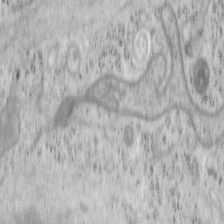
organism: Human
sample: HeLa cells